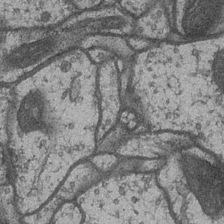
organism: Drosophila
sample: Optic medulla